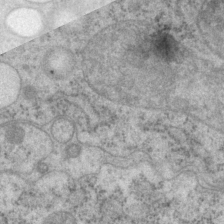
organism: P. pacificus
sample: Pharynx